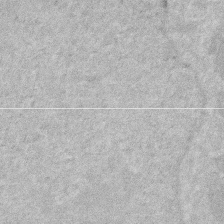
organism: Human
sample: HIV infected U937 cells